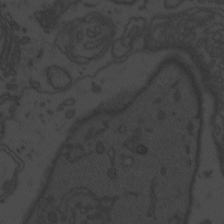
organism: Zebrafish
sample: Macrophage infected with Toxoplasma gondii